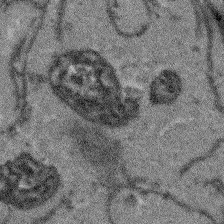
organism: Arabidopsis thaliana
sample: Root tip